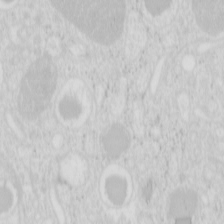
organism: Mouse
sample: Pancreas